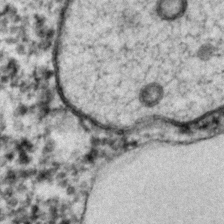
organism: C. elegans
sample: C. elegans embryo